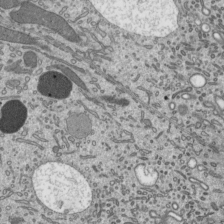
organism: Mouse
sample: Mouse epididymis efferent ductule cilia